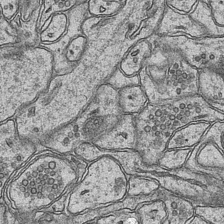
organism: Mouse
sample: CA1 Hippocampus